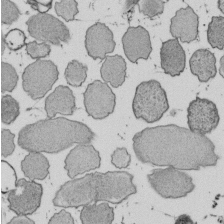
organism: E. coli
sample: Bacterial nucleoid